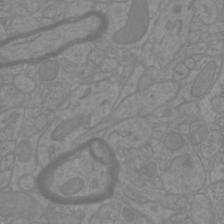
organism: Mouse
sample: Cortical neurons